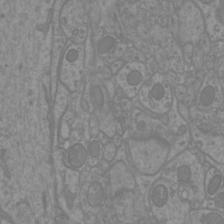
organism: Mouse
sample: Cortical neurons